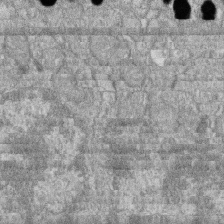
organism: Zebrafish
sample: Cilia; retinal pigment epithelium